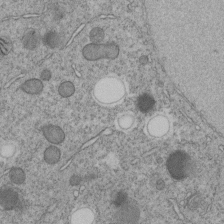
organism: C. elegans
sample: C. elegans embryo early stage